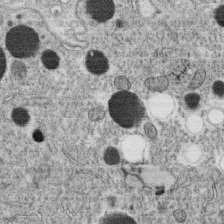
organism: C. elegans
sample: C. elegans oocyte; sperm cells